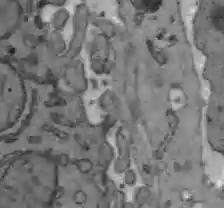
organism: C57BL Mouse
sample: Liver